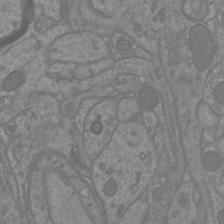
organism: Mouse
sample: Cortical neurons